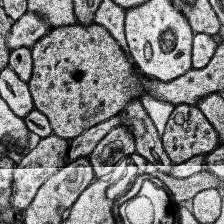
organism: Human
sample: Temporal Lobe